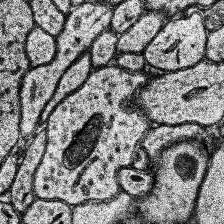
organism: Human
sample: Temporal Lobe